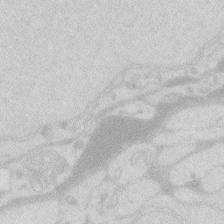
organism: Zebrafish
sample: Macrophage